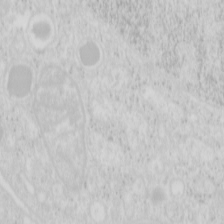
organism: Mouse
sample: Pancreas